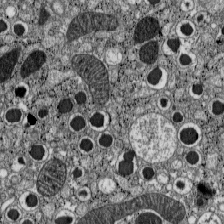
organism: C57BL Mouse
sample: Pancreatic islet